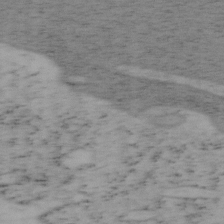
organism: Mouse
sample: OT-I killer T cells with ID8 ovarian cancer cells